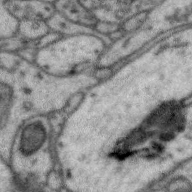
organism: Zebra finch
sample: Brain